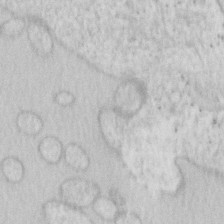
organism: Human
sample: HeLa cells